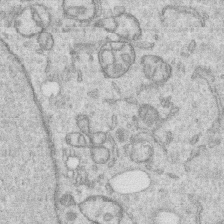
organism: Human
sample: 1205lu cells